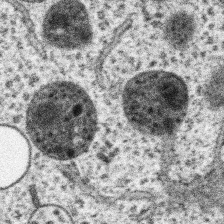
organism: Human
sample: HeLa cells